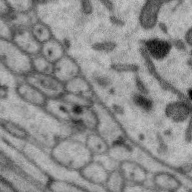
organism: Zebra finch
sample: Brain